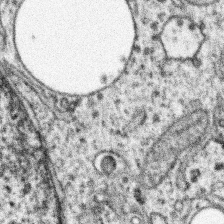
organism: Human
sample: HeLa cells